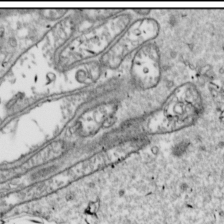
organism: Drosophila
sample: Cell division; meiosis; drosophila spermatocytes